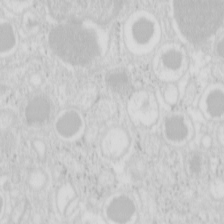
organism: Mouse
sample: Pancreas